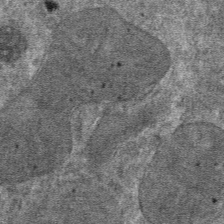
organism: Mouse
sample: Mouse hepatocytes